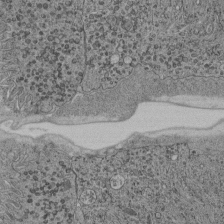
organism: C. elegans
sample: C. elegans pharynx